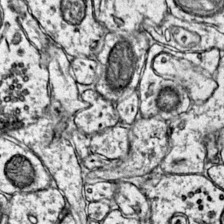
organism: Mouse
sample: Primary visual cortex